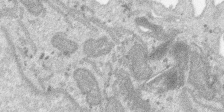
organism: Human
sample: Lung epithelial cells infected with SARS-CoV-2